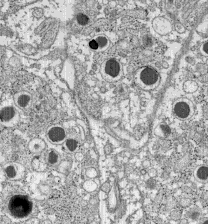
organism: C57BL Mouse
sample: Pancreatic islet